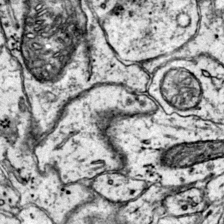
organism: Mouse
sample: Primary visual cortex